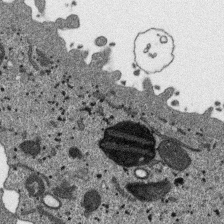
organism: Human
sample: Lung epithelial cells infected with SARS-CoV-2